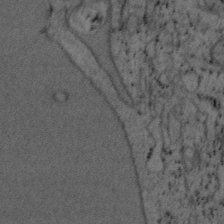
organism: Human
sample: HeLa cells